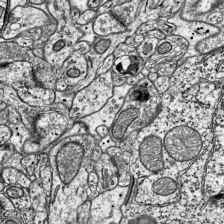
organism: Mouse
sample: Visual Cortex